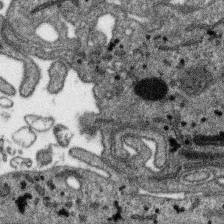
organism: Human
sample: Lung epithelial cells infected with SARS-CoV-2